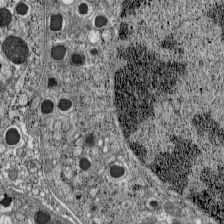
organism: C57BL Mouse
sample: Pancreatic islet